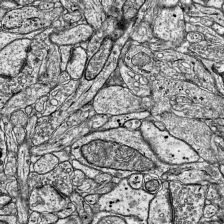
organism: Mouse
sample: Visual Cortex